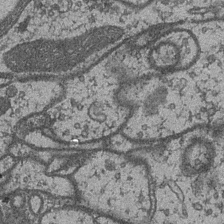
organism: Drosophila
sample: Optic medulla